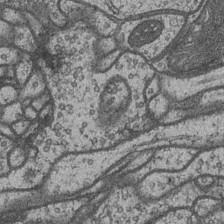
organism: Drosophila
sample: Optic medulla